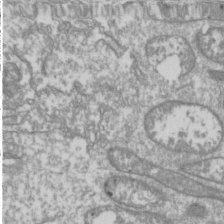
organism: Drosophila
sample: Cell division; meiosis; drosophila spermatocytes